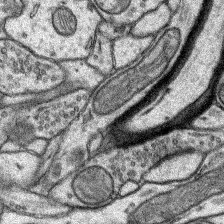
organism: Rat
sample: Hippocampus